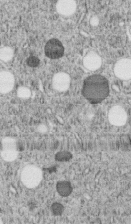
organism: C. elegans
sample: C. elegans embryo early stage